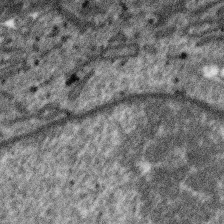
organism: Human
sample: Lung epithelial cells infected with SARS-CoV-2